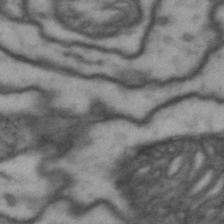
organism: Drosophila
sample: Brain